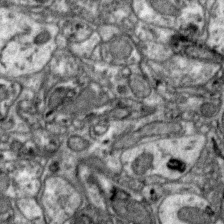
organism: Zebra finch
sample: Brain